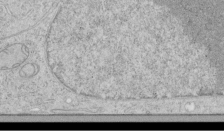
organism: Human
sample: Mitochondria in HCT116 cells